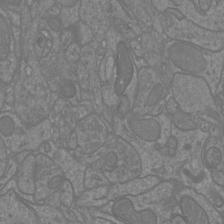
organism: Mouse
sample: Cortical neurons